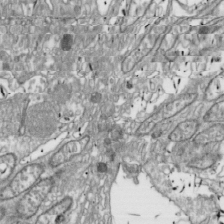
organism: Drosophila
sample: Cell division; meiosis; drosophila spermatocytes